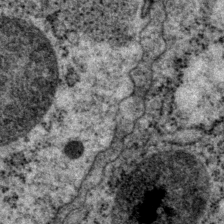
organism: P. pacificus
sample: Pharynx